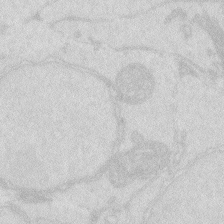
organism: Zebrafish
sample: Macrophage